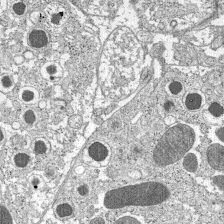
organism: C57BL Mouse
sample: Pancreatic islet